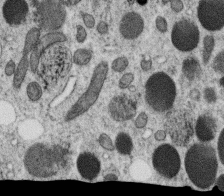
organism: C. elegans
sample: C. elegans oocyte; sperm cells